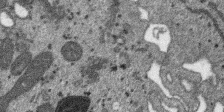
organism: Human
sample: Lung epithelial cells infected with SARS-CoV-2